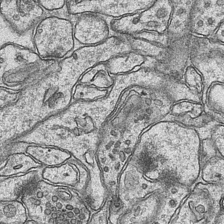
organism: Mouse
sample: CA1 Hippocampus